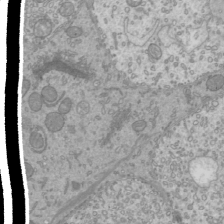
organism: Mouse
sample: Cilia; mouse epididymis